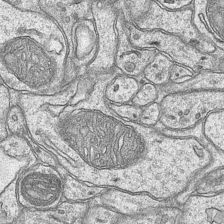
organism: Mouse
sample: CA1 Hippocampus